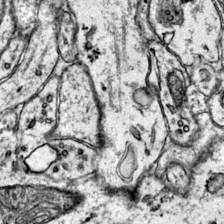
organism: Mouse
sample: Primary visual cortex